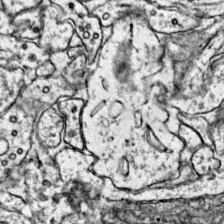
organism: Mouse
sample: Primary visual cortex